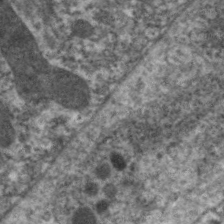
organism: C. elegans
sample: Pharynx